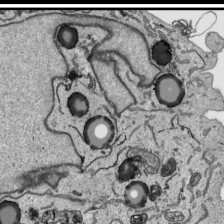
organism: Human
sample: Mitochondria in HCT116 cells